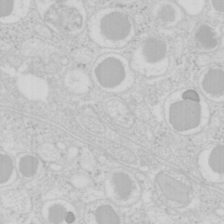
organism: Mouse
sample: Pancreas